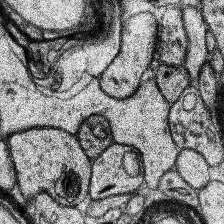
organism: Human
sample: Temporal Lobe